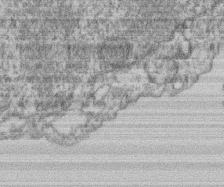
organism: Mouse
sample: T cell stromal cell synapse